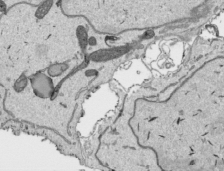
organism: Human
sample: Mitochondria in HCT116 cells